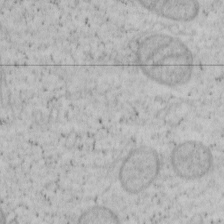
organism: Human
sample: HeLa cells